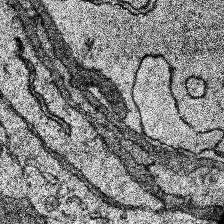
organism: Human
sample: Temporal Lobe